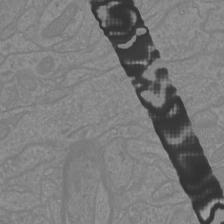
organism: Mouse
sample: Cortical neurons